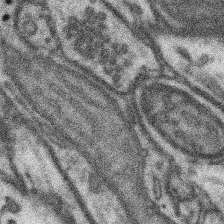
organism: Mouse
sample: Somatosensory cortex neuropil